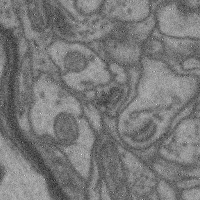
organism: Mouse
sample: Cerebral cortex